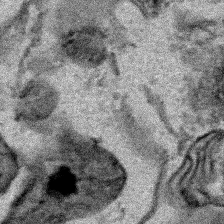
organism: Human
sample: Mitochondria in HCT116 cells